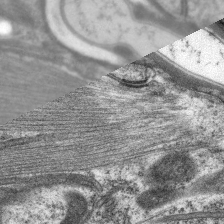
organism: C. elegans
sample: Pharynx